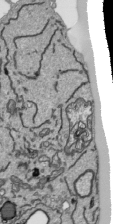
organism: Human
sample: Mitochondria in HCT116 cells